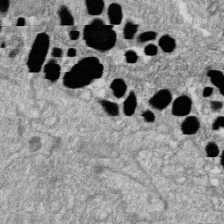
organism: Zebrafish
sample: Cilia; retinal pigment epithelium